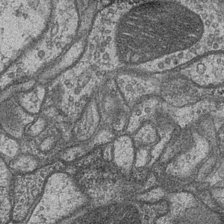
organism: Drosophila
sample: Optic medulla